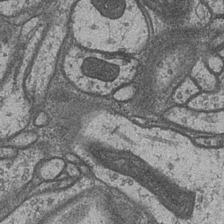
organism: Drosophila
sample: Optic medulla